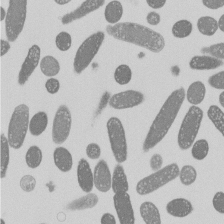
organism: E. coli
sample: Bacterial nucleoid